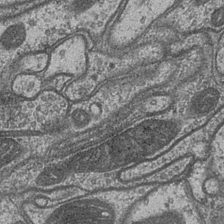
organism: Drosophila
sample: Optic medulla